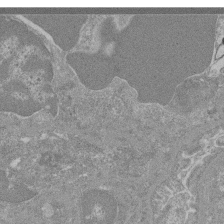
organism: Mouse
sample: Glomerulus